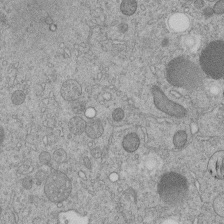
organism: C. elegans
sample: C. elegans embryo early stage